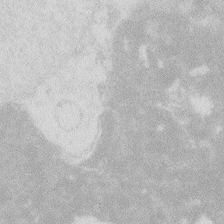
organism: Zebrafish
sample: Macrophage